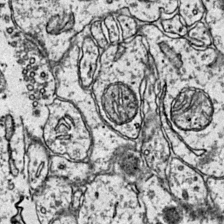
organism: Mouse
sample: Primary visual cortex